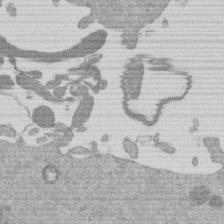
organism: Mouse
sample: Dividing mouse embryo 1 cell stage